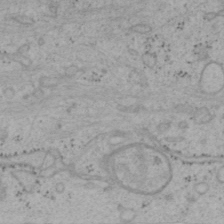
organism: Human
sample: HeLa cells